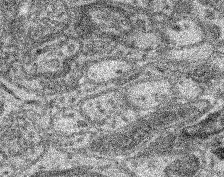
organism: Mouse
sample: Retina